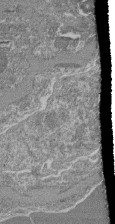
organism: Mouse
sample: Glomerulus